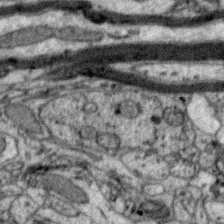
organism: Zebra finch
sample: Brain